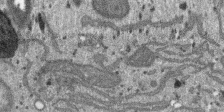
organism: Human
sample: Lung epithelial cells infected with SARS-CoV-2